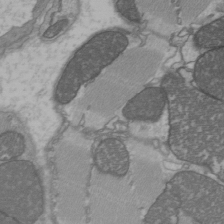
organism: C57BL Mouse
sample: Heart